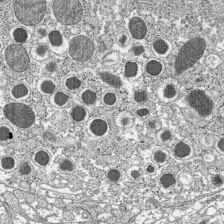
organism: C57BL Mouse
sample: Pancreatic islet